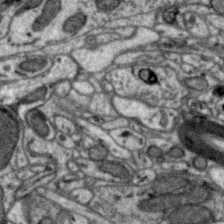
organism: Zebra finch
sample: Brain